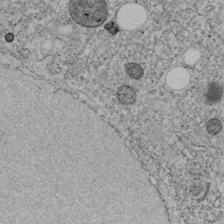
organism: C. elegans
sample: C. elegans embryo early stage